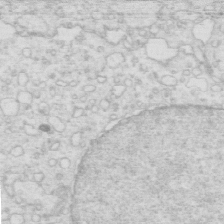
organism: Mouse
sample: Multiciliated cells